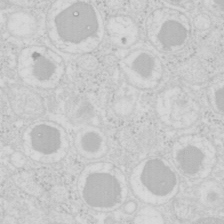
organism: Mouse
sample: Pancreas